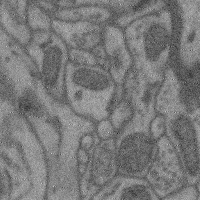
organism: Mouse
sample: Cerebral cortex